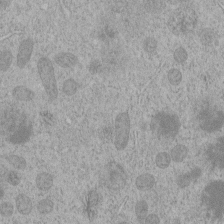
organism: C. elegans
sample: C. elegans embryo early stage